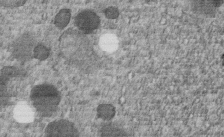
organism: C. elegans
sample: C. elegans embryo early stage